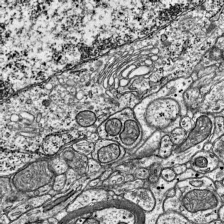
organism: Mouse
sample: Visual Cortex